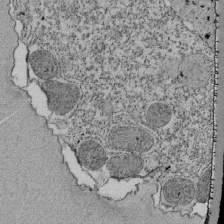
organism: Tetrahymena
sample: Cilia in tetrahymena